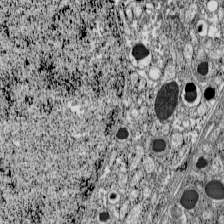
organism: C57BL Mouse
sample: Pancreatic islet